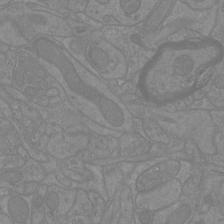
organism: Mouse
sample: Cortical neurons